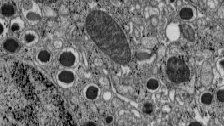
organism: C57BL Mouse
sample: Pancreatic islet